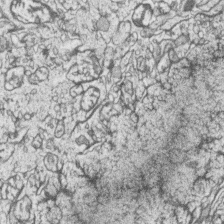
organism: Zebrafish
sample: synaptic ribbons in rod cells and cone cells